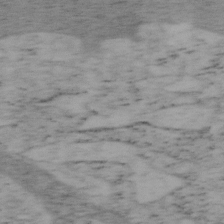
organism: Mouse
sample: OT-I killer T cells with ID8 ovarian cancer cells